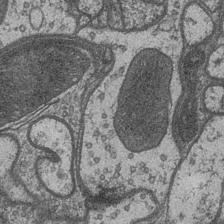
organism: Drosophila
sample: Optic medulla